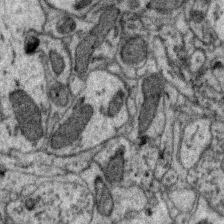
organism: Zebra finch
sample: Brain